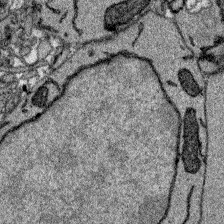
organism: Zebrafish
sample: Larval olfactory bulb